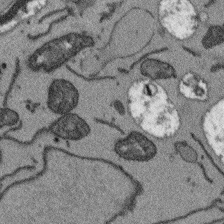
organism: Arabidopsis thaliana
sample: Root tip